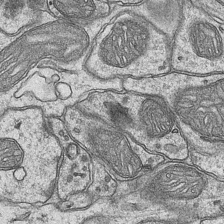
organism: Mouse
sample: CA1 Hippocampus